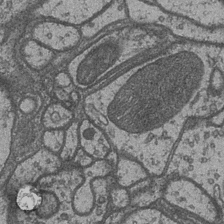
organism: Drosophila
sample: Optic medulla